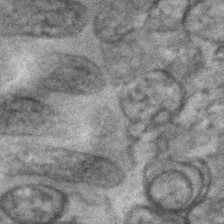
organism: C. elegans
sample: C. elegans embryo